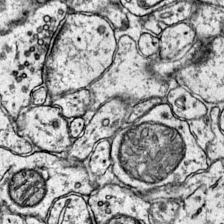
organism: Mouse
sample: Primary visual cortex